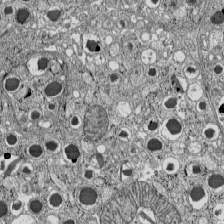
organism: C57BL Mouse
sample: Pancreatic islet